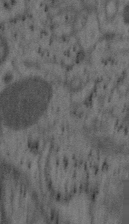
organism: Human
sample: HeLa cells